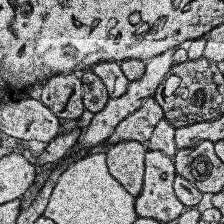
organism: Human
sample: Temporal Lobe